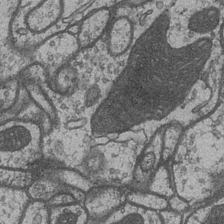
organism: Drosophila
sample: Optic medulla